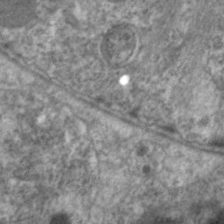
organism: C. elegans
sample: Pharynx